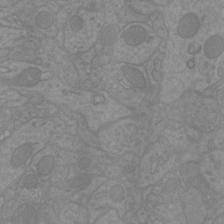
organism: Mouse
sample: Cortical neurons